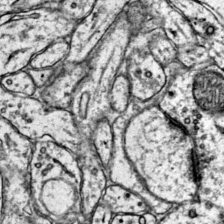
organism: Mouse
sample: Primary visual cortex